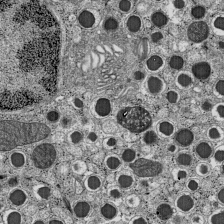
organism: C57BL Mouse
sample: Pancreatic islet